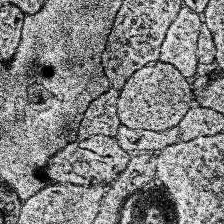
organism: Human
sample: Temporal Lobe